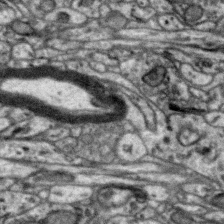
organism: Zebra finch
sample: Brain